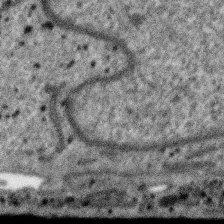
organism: Human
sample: Lung epithelial cells infected with SARS-CoV-2